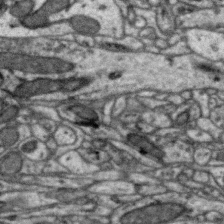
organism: Zebra finch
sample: Brain